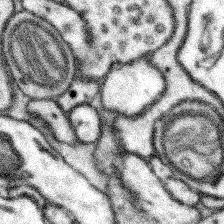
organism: Mouse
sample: Somatosensory cortex neuropil